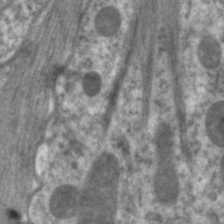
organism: C. elegans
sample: Pharynx